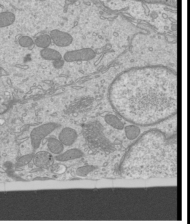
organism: Mouse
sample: Cilia; mouse epididymis